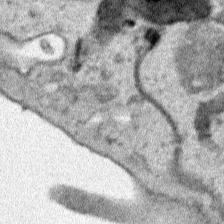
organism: Human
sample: Mitochondria in HCT116 cells